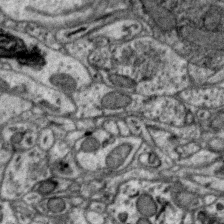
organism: Zebra finch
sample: Brain